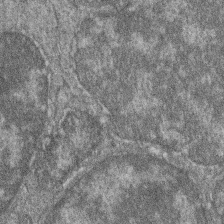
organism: Zebrafish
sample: Cilia; retinal pigment epithelium